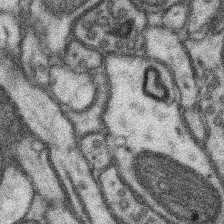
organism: Mouse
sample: Somatosensory cortex neuropil